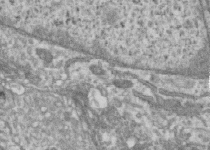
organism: Human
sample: Centriole in RPE cells